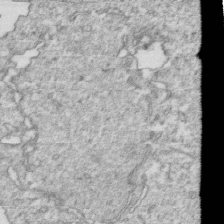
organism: Mouse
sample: Activated OT-1 CD8+ T cells